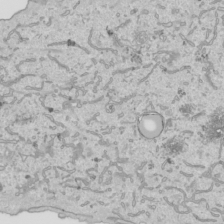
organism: Human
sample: Mitochondria in HCT116 cells